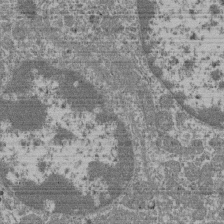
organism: Mouse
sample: Glomerulus